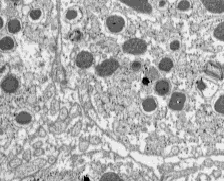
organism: C57BL Mouse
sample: Pancreatic islet